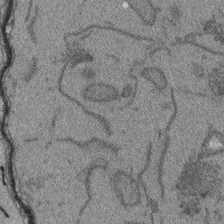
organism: Arabidopsis thaliana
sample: Root tip